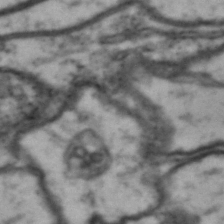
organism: Drosophila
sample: Brain